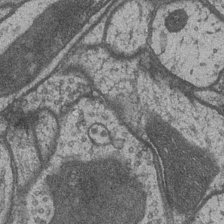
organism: Drosophila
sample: Optic medulla